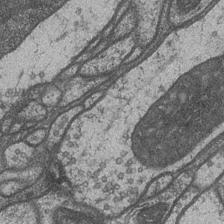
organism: Drosophila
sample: Optic medulla